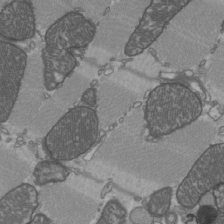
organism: C57BL Mouse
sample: Heart